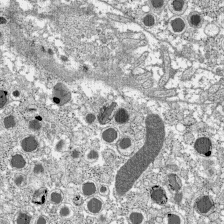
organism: C57BL Mouse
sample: Pancreatic islet